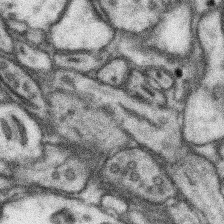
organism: Mouse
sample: Somatosensory cortex neuropil